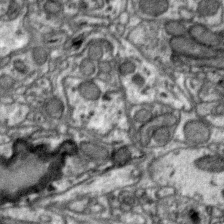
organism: Zebra finch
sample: Brain